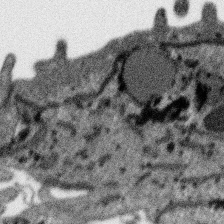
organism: Human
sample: Lung epithelial cells infected with SARS-CoV-2